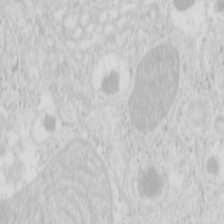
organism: Mouse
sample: Pancreas